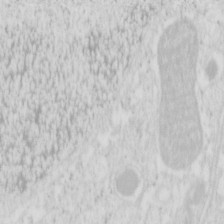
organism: Mouse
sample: Pancreas